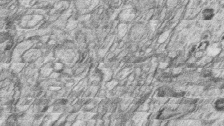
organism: Zebrafish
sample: synaptic ribbons in rod cells and cone cells